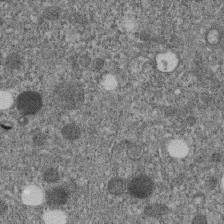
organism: C. elegans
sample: C. elegans embryo early stage